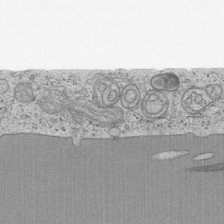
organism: Human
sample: HeLa cells